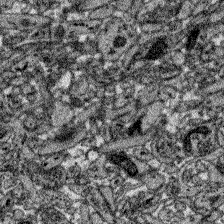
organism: Zebrafish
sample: Larval olfactory bulb